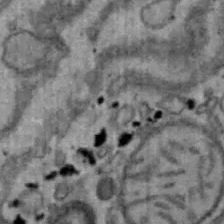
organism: Mouse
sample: Liver